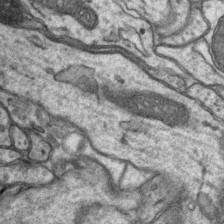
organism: Mouse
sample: CA1 Hippocampus